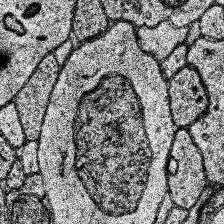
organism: Human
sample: Temporal Lobe